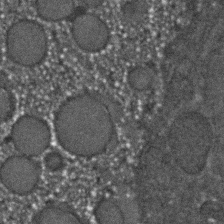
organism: C. elegans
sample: C. elegans embryo